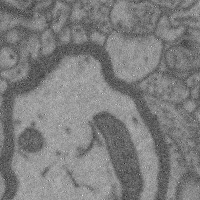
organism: Mouse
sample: Cerebral cortex